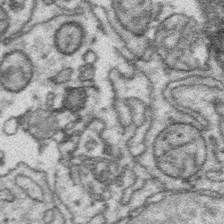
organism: Platynereis dumerilii